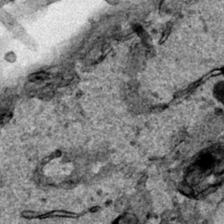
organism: Human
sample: Mitochondria in HCT116 cells